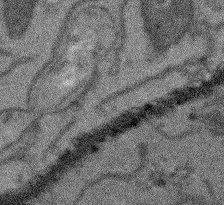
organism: Arabidopsis thaliana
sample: Root tip